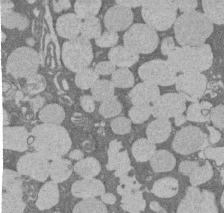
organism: Rat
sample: Salivary granule